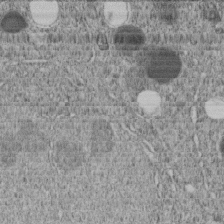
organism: C. elegans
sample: C. elegans embryo early stage